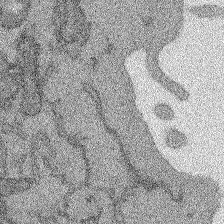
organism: Human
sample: HeLa cells